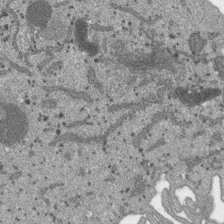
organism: Human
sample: Lung epithelial cells infected with SARS-CoV-2